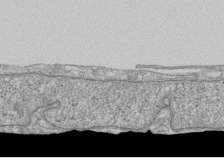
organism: Human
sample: Fibroblast cells